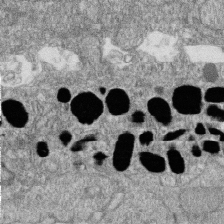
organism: Zebrafish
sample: Cilia; retinal pigment epithelium